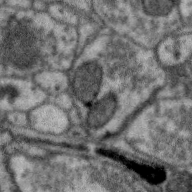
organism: Zebra finch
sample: Brain